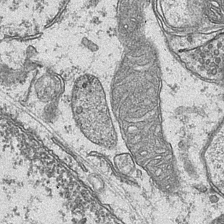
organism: Mouse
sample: CA1 Hippocampus